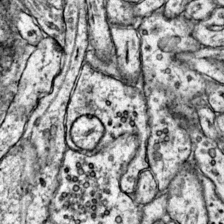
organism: Mouse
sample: Primary visual cortex